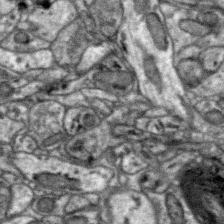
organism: Zebra finch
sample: Brain